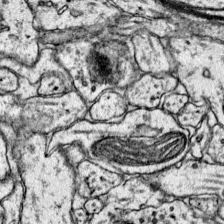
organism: Mouse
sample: Primary visual cortex